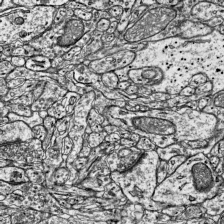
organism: Mouse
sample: Visual Cortex